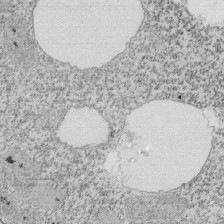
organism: Tetrahymena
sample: Cilia in tetrahymena